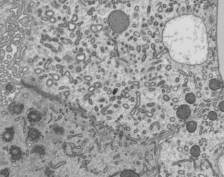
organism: Mouse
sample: Mouse epididymis efferent ductule cilia